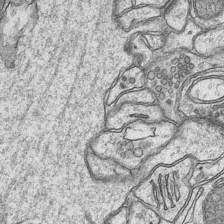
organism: Mouse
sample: CA1 Hippocampus